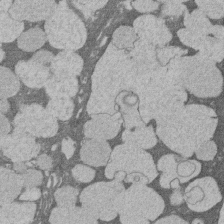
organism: Rat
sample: Salivary granule